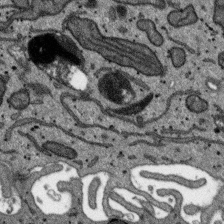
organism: Human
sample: Lung epithelial cells, uninfected (mock) control